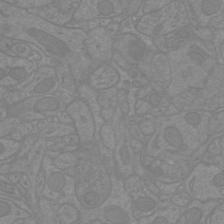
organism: Mouse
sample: Cortical neurons